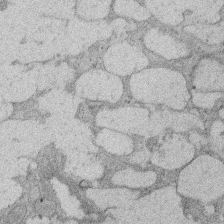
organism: Rat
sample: Salivary granule